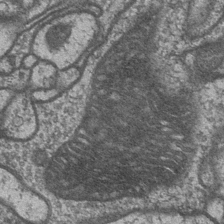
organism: Drosophila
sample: Optic medulla